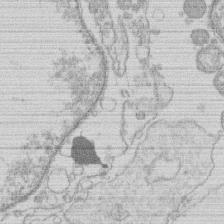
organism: Human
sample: Macrophage cells